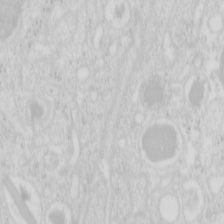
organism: Mouse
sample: Pancreas